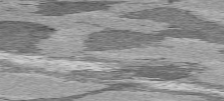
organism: C57BL Mouse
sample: Heart